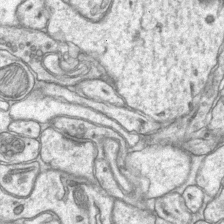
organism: Mouse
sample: CA1 Hippocampus